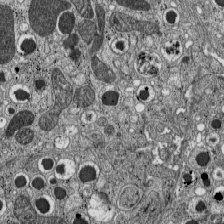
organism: C57BL Mouse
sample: Pancreatic islet